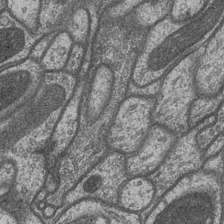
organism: Drosophila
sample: Optic medulla